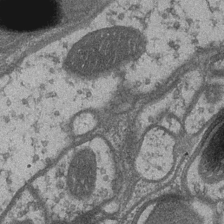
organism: Drosophila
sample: Optic medulla